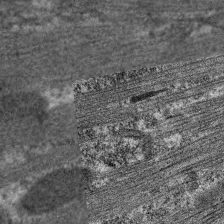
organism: C. elegans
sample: Pharynx